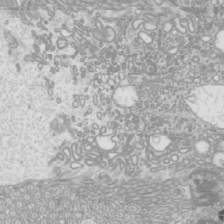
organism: Mouse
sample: Cilia; mouse epididymis